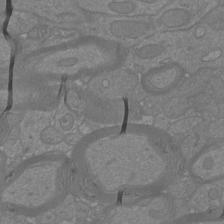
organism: Mouse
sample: Cortical neurons